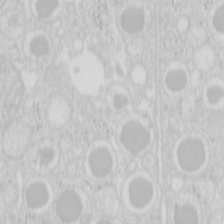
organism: Mouse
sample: Pancreas